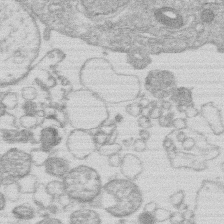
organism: Human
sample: Macrophage cells